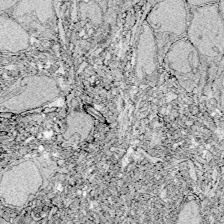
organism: Zebrafish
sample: Whole-Brain